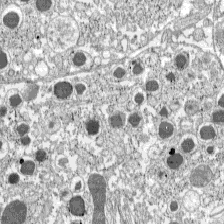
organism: C57BL Mouse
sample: Pancreatic islet